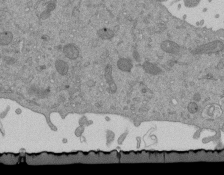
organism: Mouse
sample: ED-1 cell nuclei; centrioles